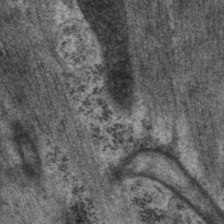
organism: P. pacificus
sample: Pharynx